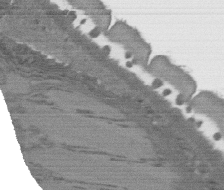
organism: C. elegans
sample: AFD neurons C. elegans